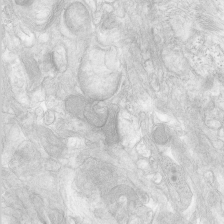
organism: Human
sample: Neocortex